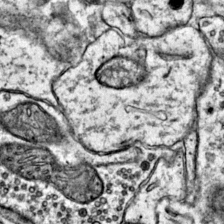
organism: Mouse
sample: Primary visual cortex